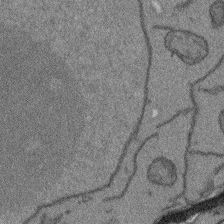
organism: Arabidopsis thaliana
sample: Root tip